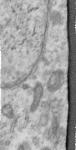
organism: Human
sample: Centriole in RPE cells